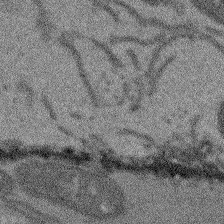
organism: Arabidopsis thaliana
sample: Root tip